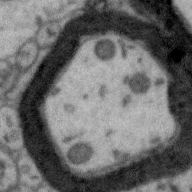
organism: Zebra finch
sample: Brain